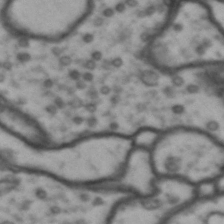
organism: Drosophila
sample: Brain